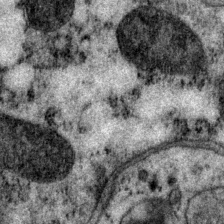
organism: P. pacificus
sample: Pharynx